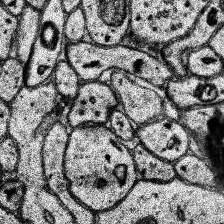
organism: Human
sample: Temporal Lobe